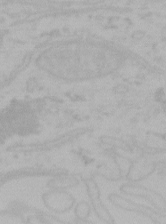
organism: Mouse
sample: Choroid plexus